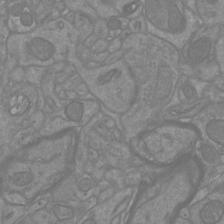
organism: Mouse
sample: Cortical neurons